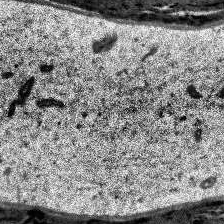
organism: Human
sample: Temporal Lobe